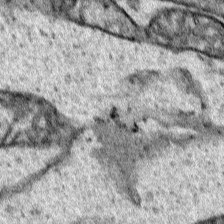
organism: Human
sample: Mitochondria in HCT116 cells